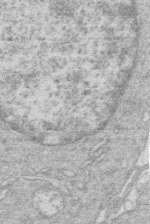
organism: Human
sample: Macrophage cells